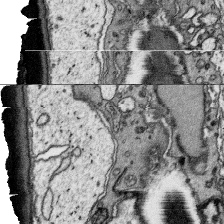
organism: Platynereis dumerilii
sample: Parapodia